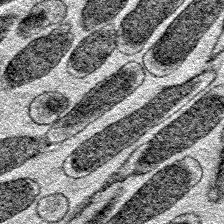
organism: E. coli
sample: E. Coli Bacteria